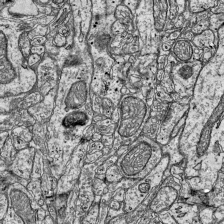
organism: Mouse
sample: Visual Cortex